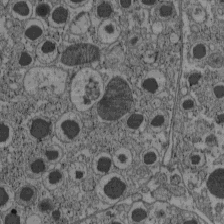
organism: C57BL Mouse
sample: Pancreatic islet